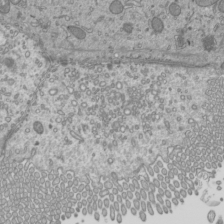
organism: Mouse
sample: Cilia; mouse epididymis